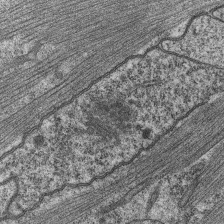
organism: C. elegans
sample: Pharynx